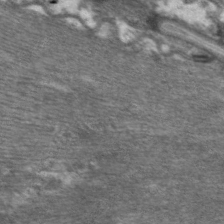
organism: C. elegans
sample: Pharynx